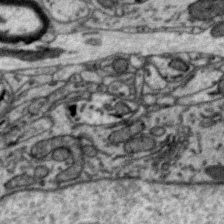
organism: Zebra finch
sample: Brain